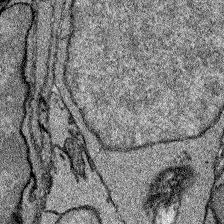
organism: Zebrafish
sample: Larval olfactory bulb